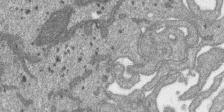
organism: Human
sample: Lung epithelial cells infected with SARS-CoV-2